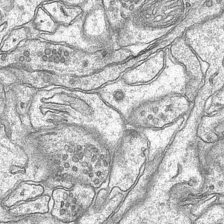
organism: Mouse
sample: CA1 Hippocampus